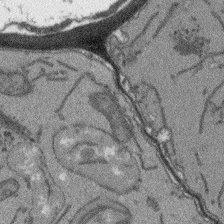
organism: Arabidopsis thaliana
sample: Root tip